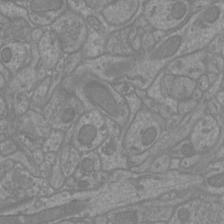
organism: Mouse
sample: Cortical neurons